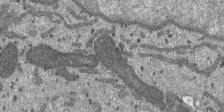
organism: Human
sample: Lung epithelial cells infected with SARS-CoV-2